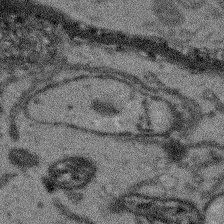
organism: Arabidopsis thaliana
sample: Root tip